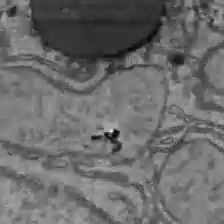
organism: C57BL Mouse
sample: Liver